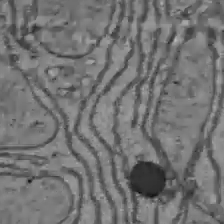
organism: C57BL Mouse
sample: Liver